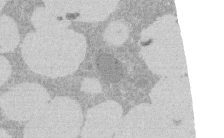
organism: Rat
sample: Salivary granule